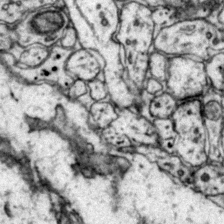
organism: Mouse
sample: Primary visual cortex